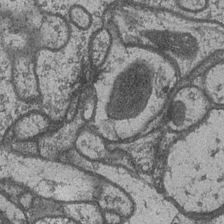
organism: Drosophila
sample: Optic medulla